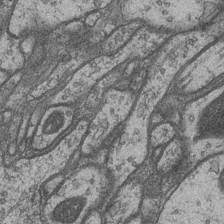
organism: Drosophila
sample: Optic medulla